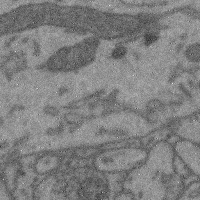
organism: Mouse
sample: Cerebral cortex